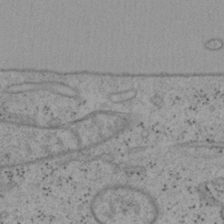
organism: Human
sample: HeLa cells